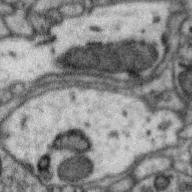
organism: Zebra finch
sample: Brain